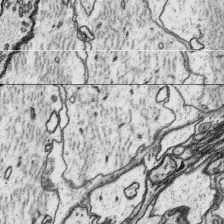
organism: Platynereis dumerilii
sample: Parapodia